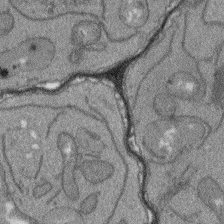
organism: Arabidopsis thaliana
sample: Root tip